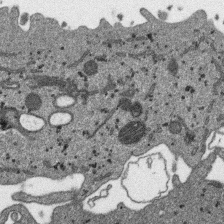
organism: Human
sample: Lung epithelial cells infected with SARS-CoV-2